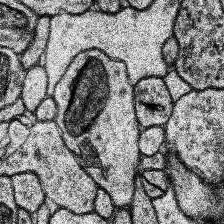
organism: Human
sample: Temporal Lobe